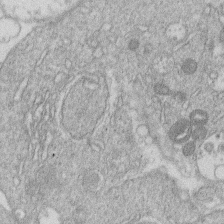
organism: Human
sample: Macrophage cells